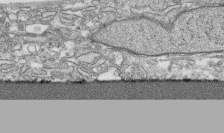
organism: Human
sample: CRL-1474